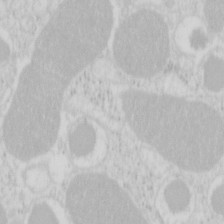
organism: Mouse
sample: Pancreas